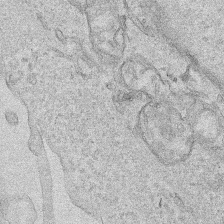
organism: Human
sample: Mitochondria in HCT116 cells